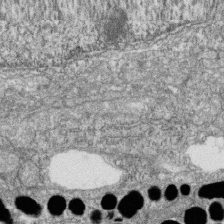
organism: Zebrafish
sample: Cilia; retinal pigment epithelium